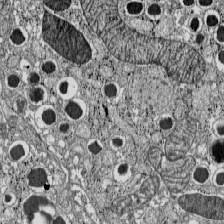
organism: C57BL Mouse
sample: Pancreatic islet